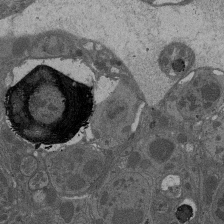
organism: Drosophila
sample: Antenna